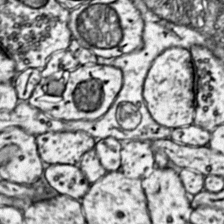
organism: Mouse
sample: Primary visual cortex